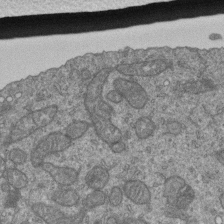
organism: Human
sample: Retinal organoid Rod and Cone cells